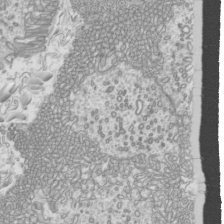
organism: Mouse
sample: Cilia; mouse epididymis